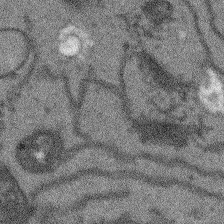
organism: Arabidopsis thaliana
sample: Root tip